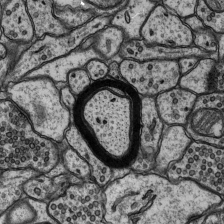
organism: Rat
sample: Hippocampus